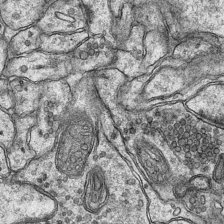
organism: Mouse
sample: CA1 Hippocampus